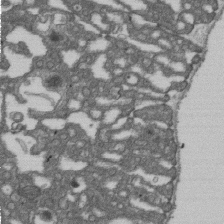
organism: Drosophila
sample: Nephrocyte